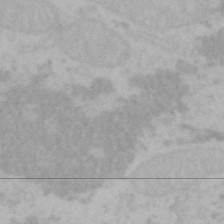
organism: Mouse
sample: Choroid plexus